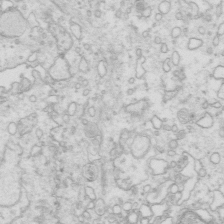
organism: Mouse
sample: Multiciliated cells